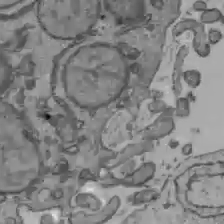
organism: C57BL Mouse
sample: Liver